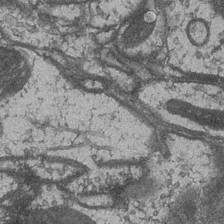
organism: Drosophila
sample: Optic medulla